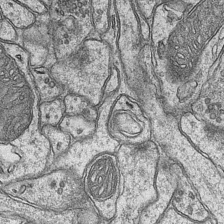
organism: Mouse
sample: CA1 Hippocampus